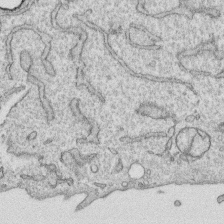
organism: Human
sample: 1205lu cells